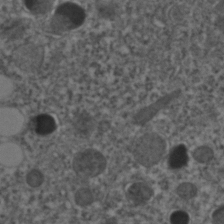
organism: C. elegans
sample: C. elegans embryo